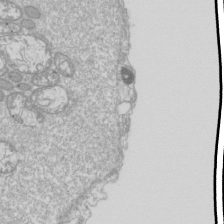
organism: Drosophila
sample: Cell division; meiosis; drosophila spermatocytes